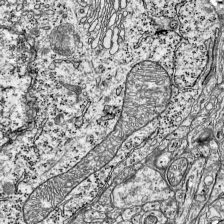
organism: Mouse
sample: Visual Cortex